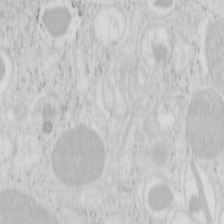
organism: Mouse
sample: Pancreas